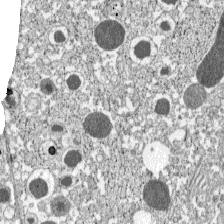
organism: C57BL Mouse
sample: Pancreatic islet